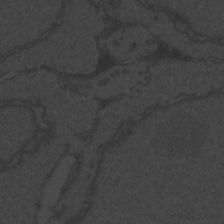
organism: Zebrafish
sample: Macrophage infected with Toxoplasma gondii